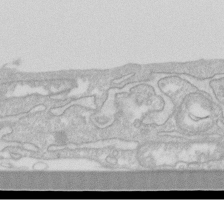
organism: Human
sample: Fibroblast cells